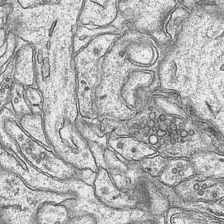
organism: Mouse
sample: CA1 Hippocampus